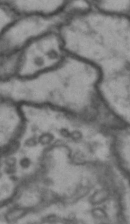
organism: Drosophila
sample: Brain